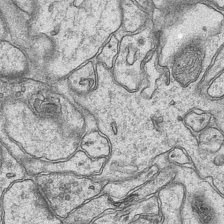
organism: Mouse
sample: CA1 Hippocampus